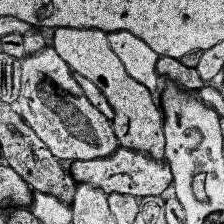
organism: Human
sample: Temporal Lobe